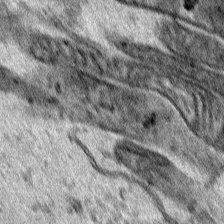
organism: Human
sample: Mitochondria in HCT116 cells